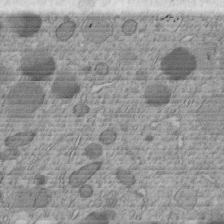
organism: C. elegans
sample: C. elegans embryo early stage